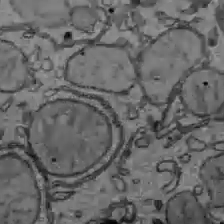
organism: C57BL Mouse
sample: Liver